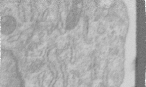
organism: Human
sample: Centriole in RPE cells